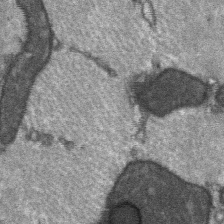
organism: C57BL Mouse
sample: Soleus